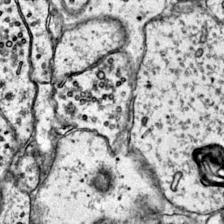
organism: Mouse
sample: Primary visual cortex